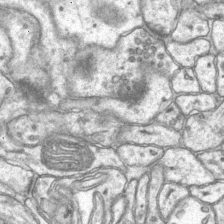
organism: Mouse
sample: CA1 Hippocampus